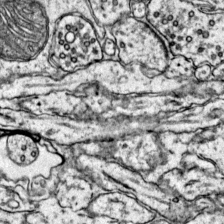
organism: Mouse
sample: Primary visual cortex